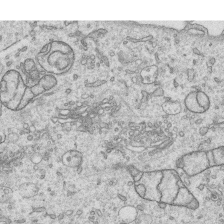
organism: Human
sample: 1205lu cells